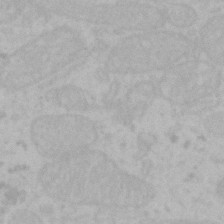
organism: Mouse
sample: Choroid plexus